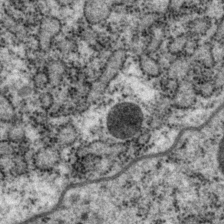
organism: P. pacificus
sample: Pharynx